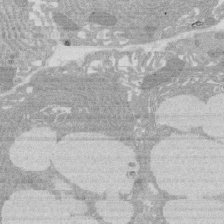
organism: Rat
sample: Salivary granule